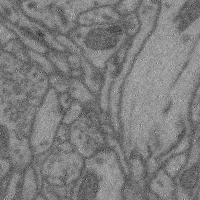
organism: Mouse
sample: Cerebral cortex